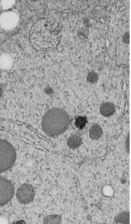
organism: C. elegans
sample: C. elegans embryo early stage